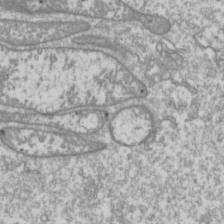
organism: Drosophila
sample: Cell division; meiosis; drosophila spermatocytes